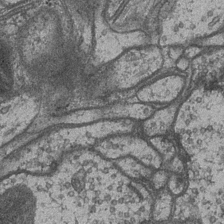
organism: Drosophila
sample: Optic medulla